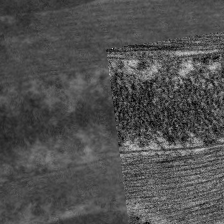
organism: C. elegans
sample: Pharynx